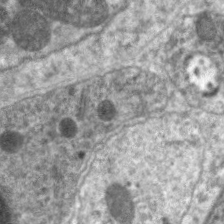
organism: C. elegans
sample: Pharynx